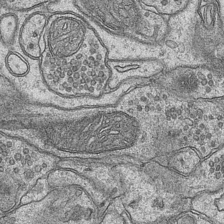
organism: Mouse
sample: CA1 Hippocampus